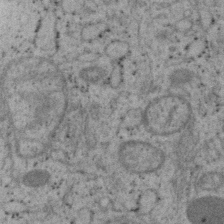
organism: Human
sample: HeLa cells